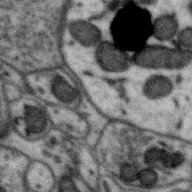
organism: Zebra finch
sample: Brain